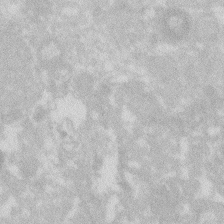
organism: Zebrafish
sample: Macrophage